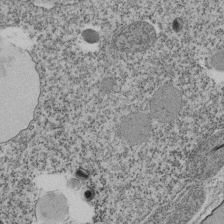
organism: Tetrahymena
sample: Cilia in tetrahymena